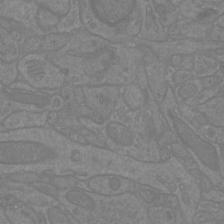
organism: Mouse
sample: Cortical neurons